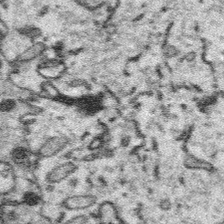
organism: Platynereis dumerilii